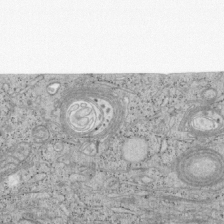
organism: Human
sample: HeLa cells